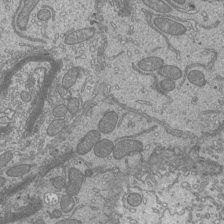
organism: Mouse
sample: Cilia; mouse epididymis